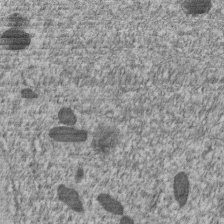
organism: C. elegans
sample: C. elegans embryo early stage